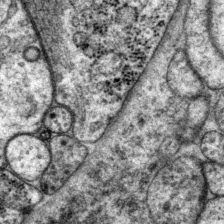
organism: P. pacificus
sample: Pharynx